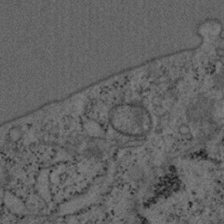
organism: Human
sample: HeLa cells